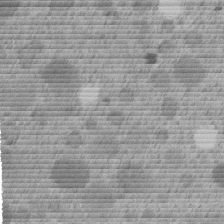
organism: C. elegans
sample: C. elegans embryo early stage